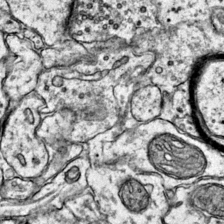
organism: Mouse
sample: Primary visual cortex